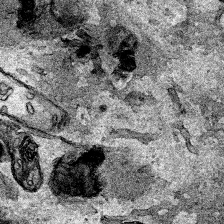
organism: Human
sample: Mitochondria in HCT116 cells